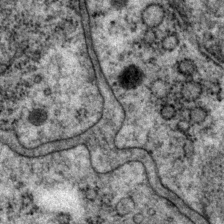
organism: P. pacificus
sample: Pharynx